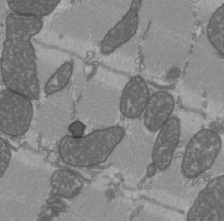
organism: C57BL Mouse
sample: Heart